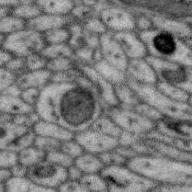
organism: Zebra finch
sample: Brain